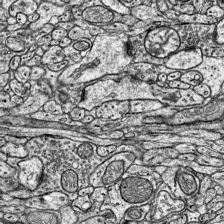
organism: Mouse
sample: Visual Cortex